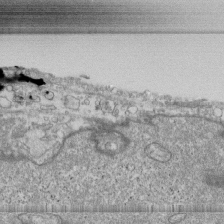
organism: Human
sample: Fibroblast cells